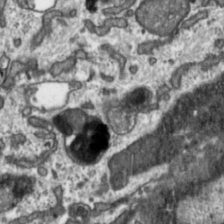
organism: Toxoplasma gondii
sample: Parasites in a vacuole inside a host cell